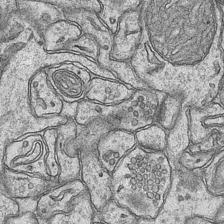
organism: Mouse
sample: CA1 Hippocampus